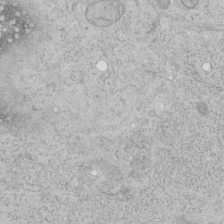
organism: Human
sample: Mitochondria in HCT116 cells